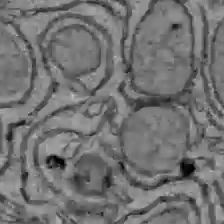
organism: C57BL Mouse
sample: Liver